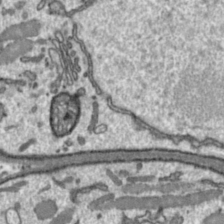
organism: Toxoplasma gondii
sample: Parasites in a vacuole inside a host cell